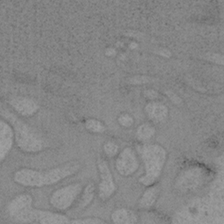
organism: Mouse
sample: OT-I killer T cells with ID8 ovarian cancer cells